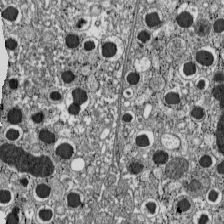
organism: C57BL Mouse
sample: Pancreatic islet